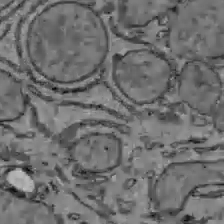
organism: C57BL Mouse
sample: Liver